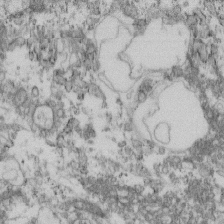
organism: Mouse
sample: Cilia; retinal pigment epithelium